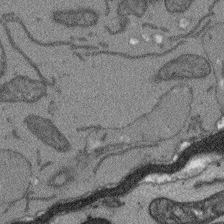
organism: Arabidopsis thaliana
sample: Root tip